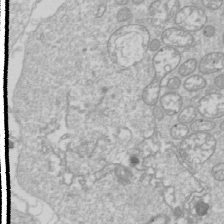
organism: Drosophila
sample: Cell division; meiosis; drosophila spermatocytes